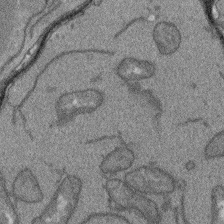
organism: Arabidopsis thaliana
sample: Root tip